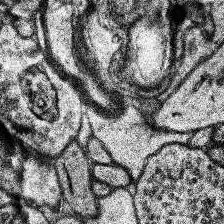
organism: Human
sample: Temporal Lobe